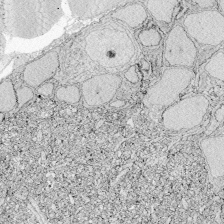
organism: Zebrafish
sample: Whole-Brain